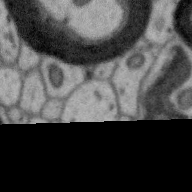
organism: Zebra finch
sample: Brain